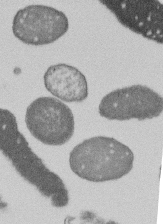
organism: E. coli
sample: Bacterial nucleoid